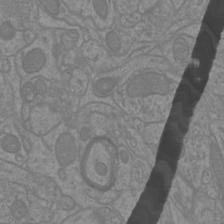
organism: Mouse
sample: Cortical neurons